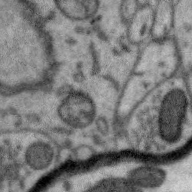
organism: Zebra finch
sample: Brain